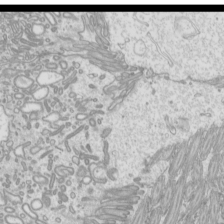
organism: Mouse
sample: Cilia; mouse epididymis